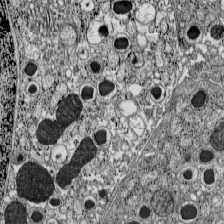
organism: C57BL Mouse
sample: Pancreatic islet